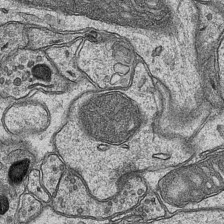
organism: Mouse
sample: CA1 Hippocampus